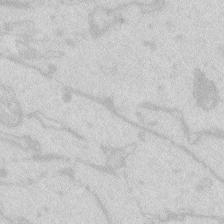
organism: Zebrafish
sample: Macrophage